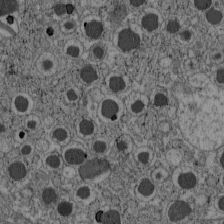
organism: C57BL Mouse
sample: Pancreatic islet